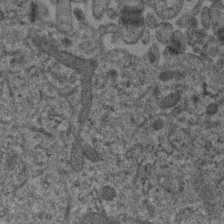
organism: Human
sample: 1205lu cells